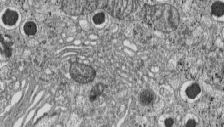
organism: C57BL Mouse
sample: Pancreatic islet